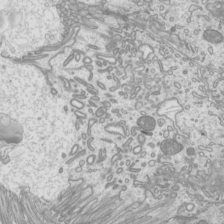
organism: Mouse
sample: Cilia; mouse epididymis